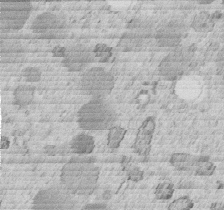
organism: C. elegans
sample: C. elegans embryo early stage